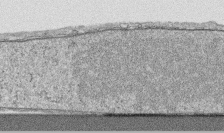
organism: Human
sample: CRL-1474